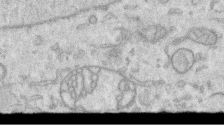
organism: Human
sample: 1205lu cells